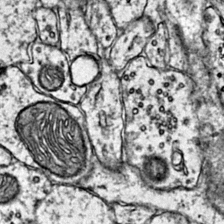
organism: Mouse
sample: Primary visual cortex